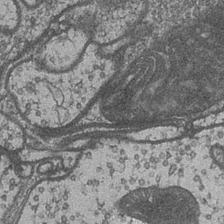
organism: Drosophila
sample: Optic medulla